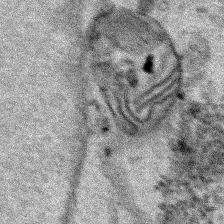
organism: Human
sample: Mitochondria in HCT116 cells